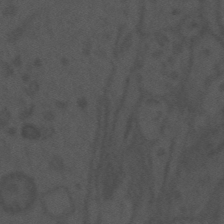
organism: Mouse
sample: Suprachiasmatic nucleus